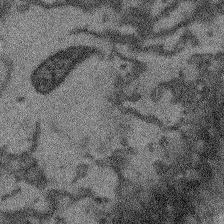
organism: Arabidopsis thaliana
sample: Root tip